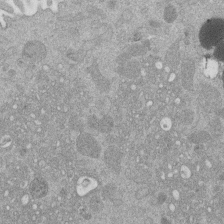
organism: Mouse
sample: Dividing mouse embryo 1 cell stage